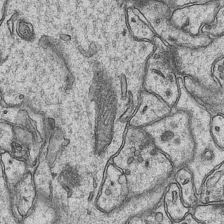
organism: Mouse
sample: CA1 Hippocampus